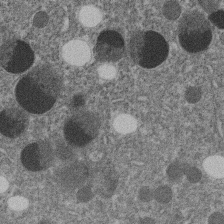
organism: C. elegans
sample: C. elegans embryo early stage